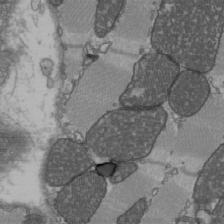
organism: C57BL Mouse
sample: Heart